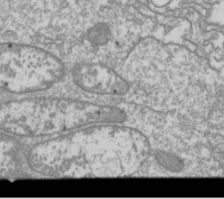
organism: Drosophila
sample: Cell division; meiosis; drosophila spermatocytes